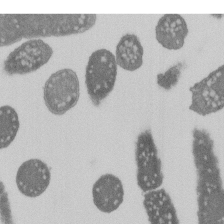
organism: E. coli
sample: Bacterial nucleoid